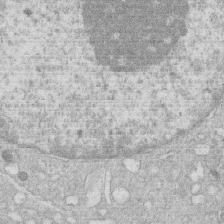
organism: Human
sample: Macrophage cells